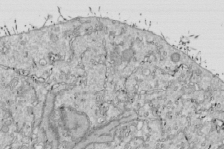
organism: Drosophila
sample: Cell division; meiosis; drosophila spermatocytes